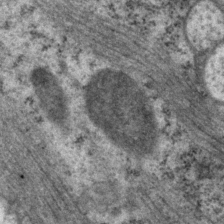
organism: P. pacificus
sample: Pharynx